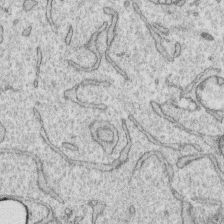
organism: Human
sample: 1205lu cells